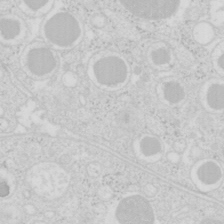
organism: Mouse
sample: Pancreas